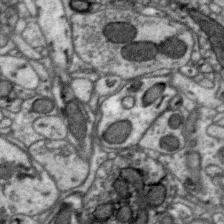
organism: Zebra finch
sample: Brain